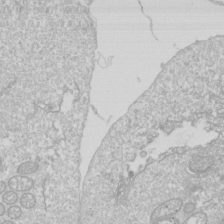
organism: Drosophila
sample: Cell division; meiosis; drosophila spermatocytes